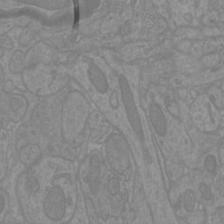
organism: Mouse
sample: Cortical neurons